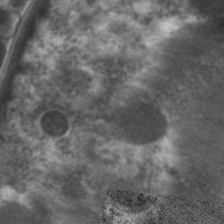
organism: C. elegans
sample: Pharynx